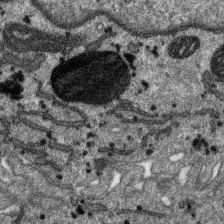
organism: Human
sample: Lung epithelial cells infected with SARS-CoV-2